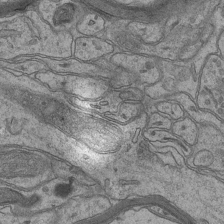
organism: Mouse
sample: CA1 Hippocampus